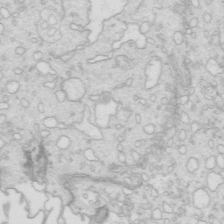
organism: Mouse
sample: Multiciliated cells